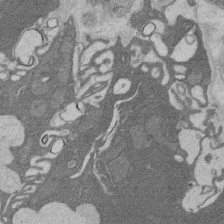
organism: Rat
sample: Salivary granule